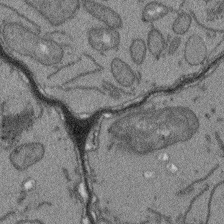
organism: Arabidopsis thaliana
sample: Root tip